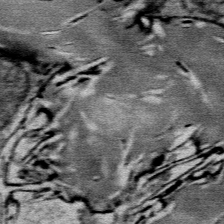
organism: Mouse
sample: Mouse Salivary gland